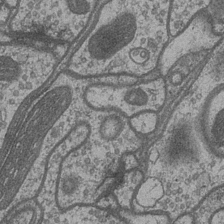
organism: Drosophila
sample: Optic medulla